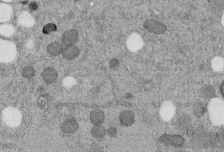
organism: C. elegans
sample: C. elegans embryo early stage